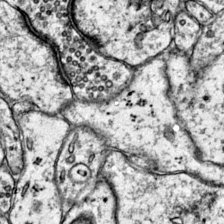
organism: Mouse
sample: Primary visual cortex